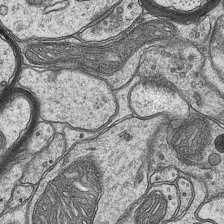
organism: Mouse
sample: CA1 Hippocampus